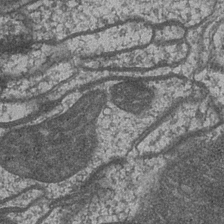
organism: Drosophila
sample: Optic medulla